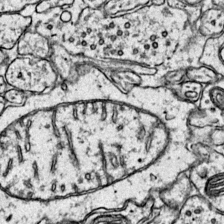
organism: Mouse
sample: Primary visual cortex